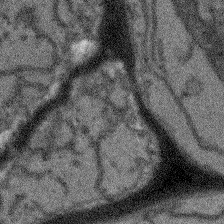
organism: Arabidopsis thaliana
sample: Root tip